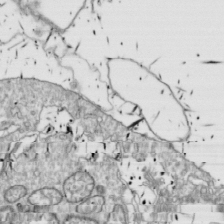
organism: Drosophila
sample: Cell division; meiosis; drosophila spermatocytes